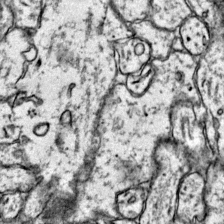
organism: Mouse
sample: Primary visual cortex